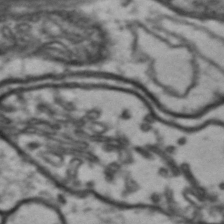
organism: Drosophila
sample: Brain